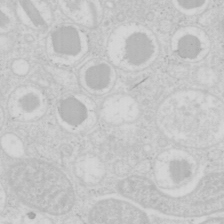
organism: Mouse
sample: Pancreas